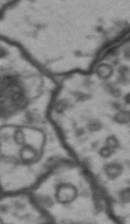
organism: Drosophila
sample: Brain